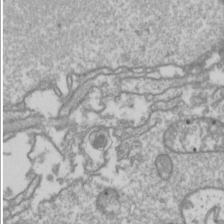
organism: Drosophila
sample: Cell division; meiosis; drosophila spermatocytes